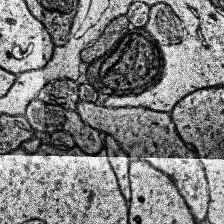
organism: Human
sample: Temporal Lobe